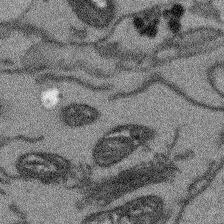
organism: Arabidopsis thaliana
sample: Root tip